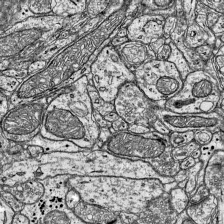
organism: Mouse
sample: Visual Cortex